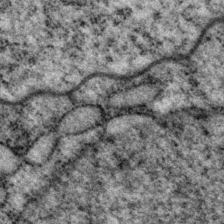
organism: P. pacificus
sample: Pharynx